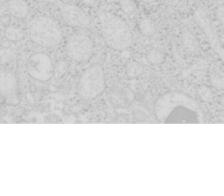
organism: Mouse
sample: Pancreas